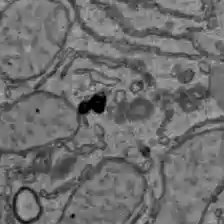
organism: C57BL Mouse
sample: Liver